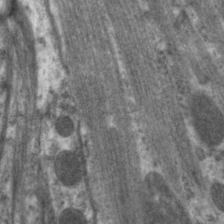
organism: C. elegans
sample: Pharynx